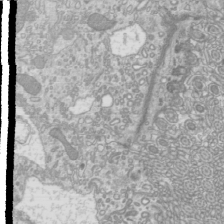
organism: Mouse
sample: Cilia; mouse epididymis